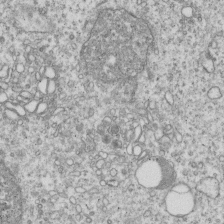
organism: Human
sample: MDA-MB-231 cells